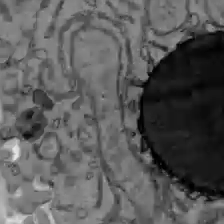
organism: C57BL Mouse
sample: Liver